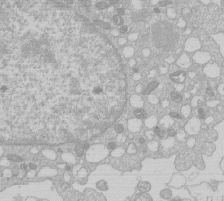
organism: Human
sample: Macrophage cells